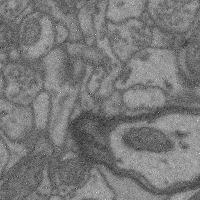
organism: Mouse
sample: Cerebral cortex